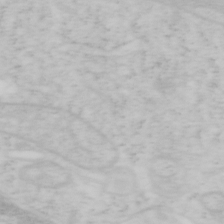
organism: Mouse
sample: OT-I killer T cells with ID8 ovarian cancer cells